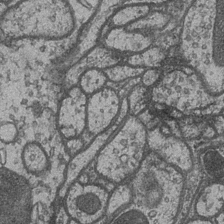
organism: Drosophila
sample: Optic medulla